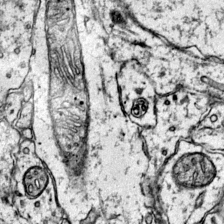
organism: Mouse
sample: Primary visual cortex